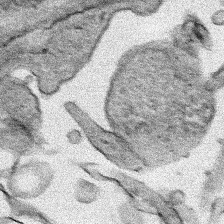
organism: Human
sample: Mitochondria in HCT116 cells